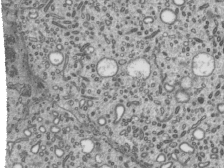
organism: Mouse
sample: Mouse epididymis efferent ductule cilia